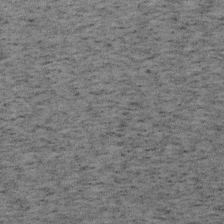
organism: Mouse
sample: OT-I killer T cells with ID8 ovarian cancer cells